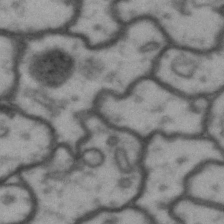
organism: Drosophila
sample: Brain